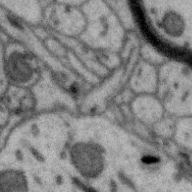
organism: Zebra finch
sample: Brain